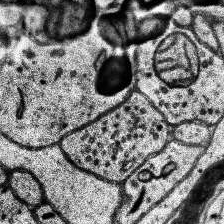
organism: Human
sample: Temporal Lobe